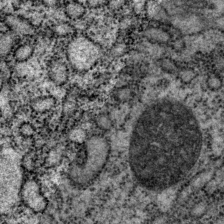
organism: P. pacificus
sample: Pharynx